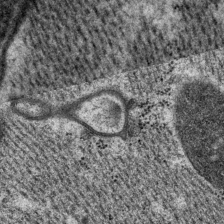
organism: P. pacificus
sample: Pharynx